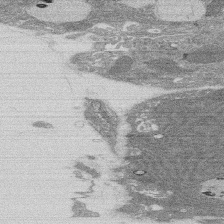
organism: Rat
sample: Salivary granule